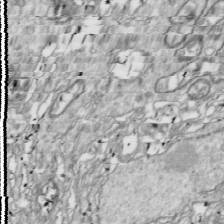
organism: Drosophila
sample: Cell division; meiosis; drosophila spermatocytes